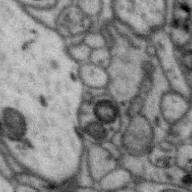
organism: Zebra finch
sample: Brain